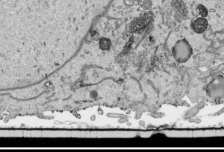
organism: Human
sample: Mitochondria in HCT116 cells